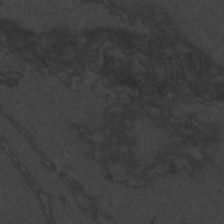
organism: Zebrafish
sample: Macrophage infected with Toxoplasma gondii